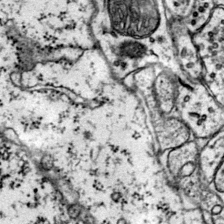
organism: Mouse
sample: Primary visual cortex